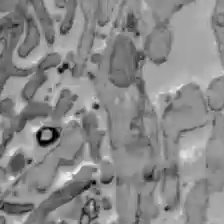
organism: C57BL Mouse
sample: Liver